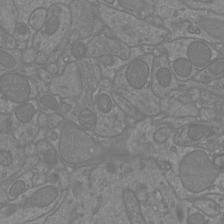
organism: Mouse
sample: Cortical neurons